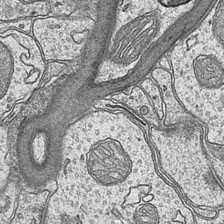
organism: Mouse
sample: CA1 Hippocampus